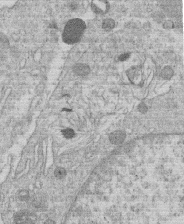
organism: Human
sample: Macrophage cells